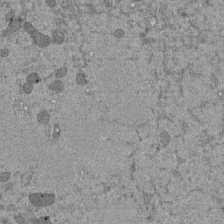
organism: Mouse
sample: ED-1 cell nuclei; centrioles